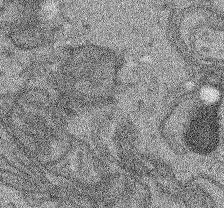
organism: Human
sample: HeLa cells